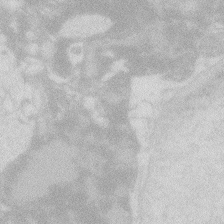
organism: Zebrafish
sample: Macrophage